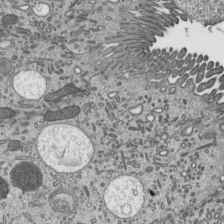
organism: Mouse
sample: Mouse epididymis efferent ductule cilia